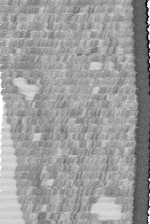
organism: Human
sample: Centriole in fibroblast cells